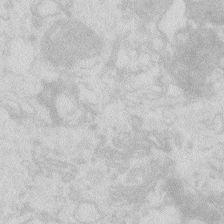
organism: Zebrafish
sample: Macrophage